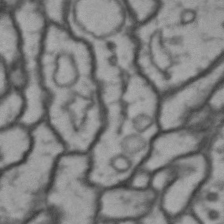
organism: Drosophila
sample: Brain